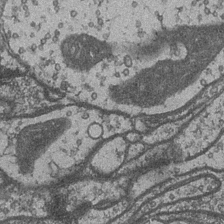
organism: Drosophila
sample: Optic medulla